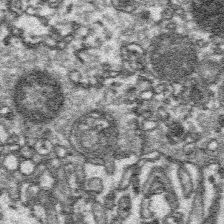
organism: Platynereis dumerilii